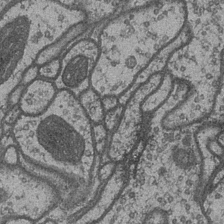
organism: Drosophila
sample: Optic medulla